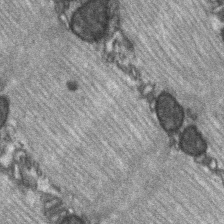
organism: C57BL Mouse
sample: Soleus